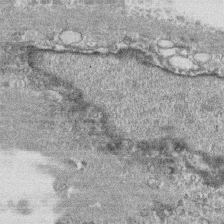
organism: Human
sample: CRL-1474